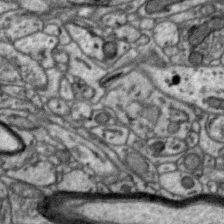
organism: Zebra finch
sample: Brain